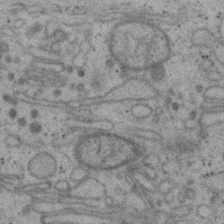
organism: Human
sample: HeLa cells